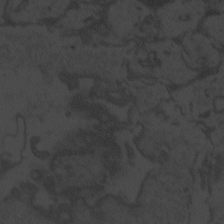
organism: Zebrafish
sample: Macrophage infected with Toxoplasma gondii